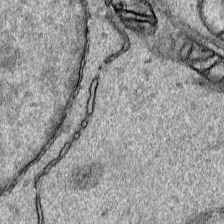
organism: Human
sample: Mitochondria in HCT116 cells